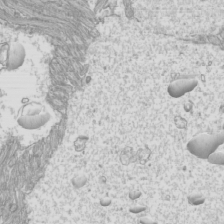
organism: Mouse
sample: Cilia; mouse epididymis